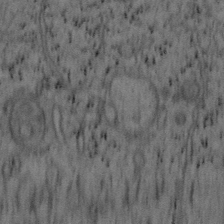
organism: Human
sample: HeLa cells